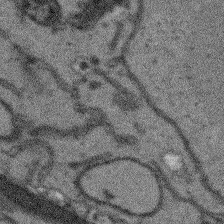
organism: Arabidopsis thaliana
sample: Root tip